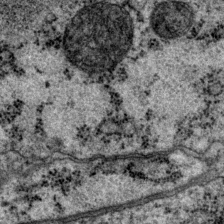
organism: P. pacificus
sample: Pharynx